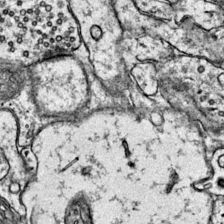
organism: Mouse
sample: Primary visual cortex